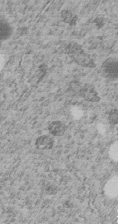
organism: C. elegans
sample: C. elegans embryo early stage